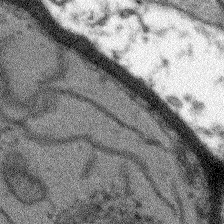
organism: Arabidopsis thaliana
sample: Root tip